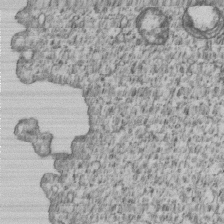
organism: Human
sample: MDA-MB-231 cells